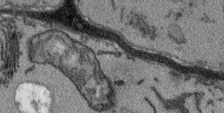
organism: Arabidopsis thaliana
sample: Root tip